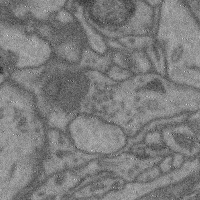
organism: Mouse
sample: Cerebral cortex